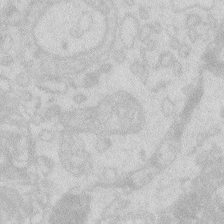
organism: Zebrafish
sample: Macrophage